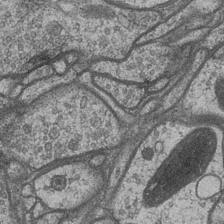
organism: Drosophila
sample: Optic medulla